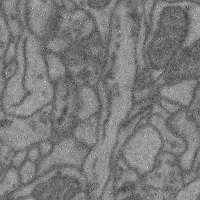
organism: Mouse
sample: Cerebral cortex